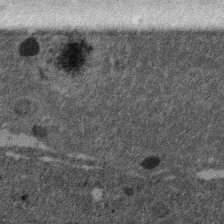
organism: Mouse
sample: Dividing mouse embryo 1 cell stage